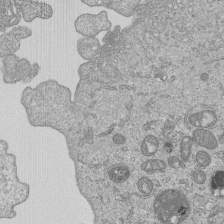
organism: Human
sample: MDA-MB-231 cells